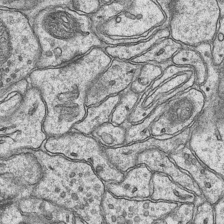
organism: Mouse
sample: CA1 Hippocampus